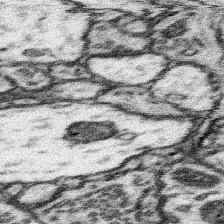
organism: Mouse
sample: Somatosensory cortex neuropil